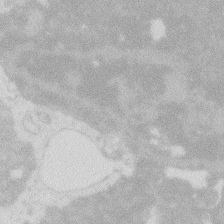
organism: Zebrafish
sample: Macrophage